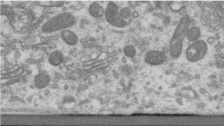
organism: Human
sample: Centriole in RPE cells